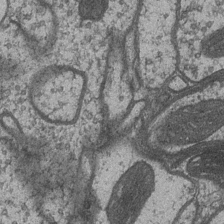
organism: Drosophila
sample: Optic medulla